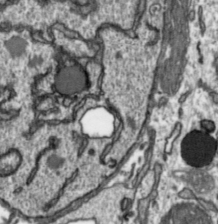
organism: Toxoplasma gondii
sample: Parasites in a vacuole inside a host cell